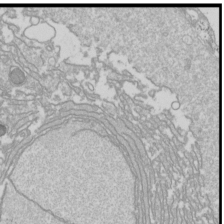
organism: Drosophila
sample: Cell division; meiosis; drosophila spermatocytes